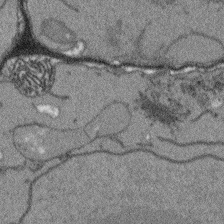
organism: Arabidopsis thaliana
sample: Root tip